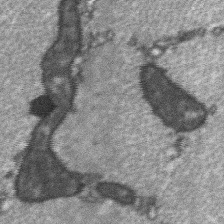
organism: C57BL Mouse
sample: Soleus